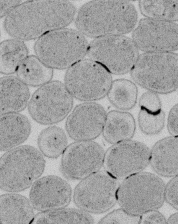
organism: E. coli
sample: Bacterial nucleoid